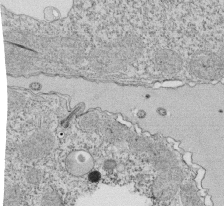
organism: Tetrahymena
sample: Cilia in tetrahymena